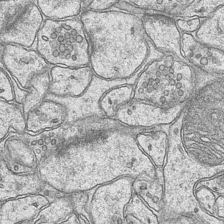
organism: Mouse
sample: CA1 Hippocampus